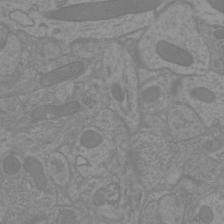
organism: Mouse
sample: Cortical neurons